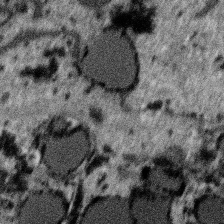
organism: Human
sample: Lung epithelial cells infected with SARS-CoV-2